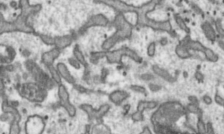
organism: Toxoplasma gondii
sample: Parasites in a vacuole inside a host cell